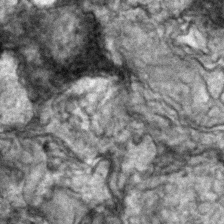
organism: Zebrafish